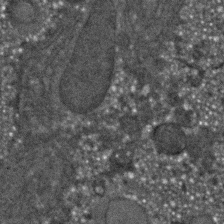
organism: C. elegans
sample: C. elegans embryo